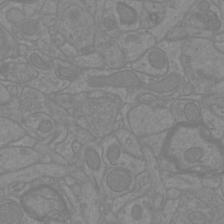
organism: Mouse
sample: Cortical neurons